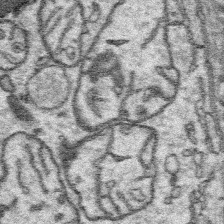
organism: Platynereis dumerilii